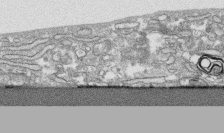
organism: Human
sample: CRL-1474